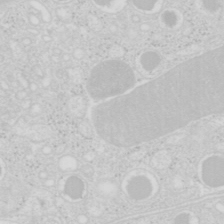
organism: Mouse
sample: Pancreas